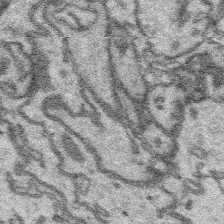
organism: Platynereis dumerilii